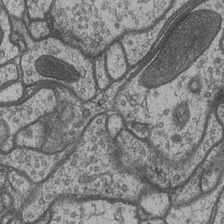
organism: Drosophila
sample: Optic medulla